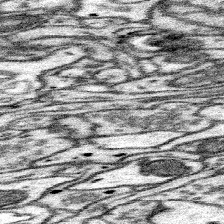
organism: Mouse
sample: Somatosensory cortex neuropil